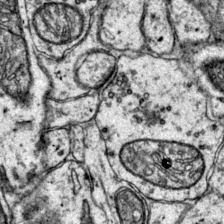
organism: Mouse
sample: Primary visual cortex